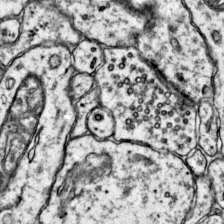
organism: Mouse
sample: Primary visual cortex